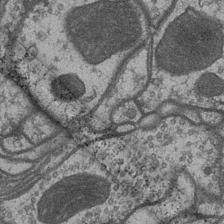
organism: Drosophila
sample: Optic medulla